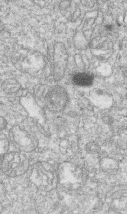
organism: Human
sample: HeLa cell HIV synapse